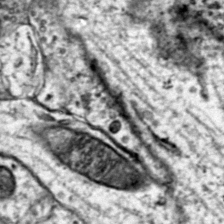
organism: Mouse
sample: Primary visual cortex